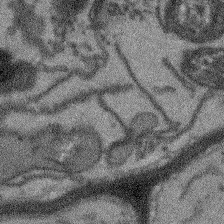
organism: Arabidopsis thaliana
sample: Root tip